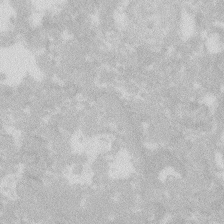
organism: Zebrafish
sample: Macrophage